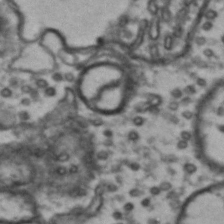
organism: Drosophila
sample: Brain